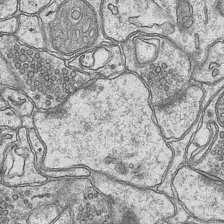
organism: Mouse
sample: CA1 Hippocampus